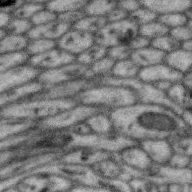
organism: Zebra finch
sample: Brain